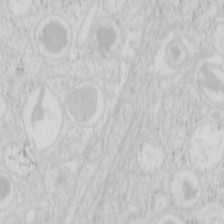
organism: Mouse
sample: Pancreas